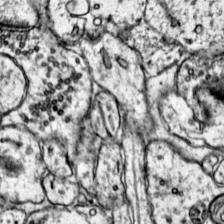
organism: Mouse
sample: Primary visual cortex